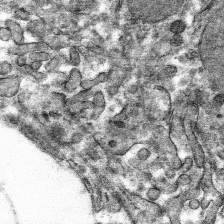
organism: Mouse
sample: Mouse hepatocytes